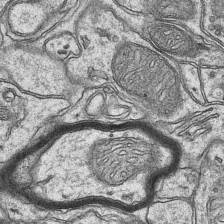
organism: Mouse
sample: CA1 Hippocampus